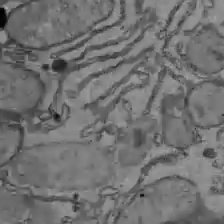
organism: C57BL Mouse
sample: Liver